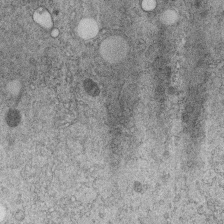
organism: C. elegans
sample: C. elegans embryo early stage